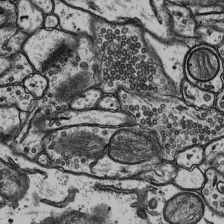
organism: Rat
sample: Hippocampus